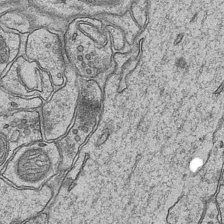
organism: Mouse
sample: CA1 Hippocampus